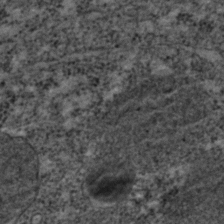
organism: C. elegans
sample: C. elegans embryo